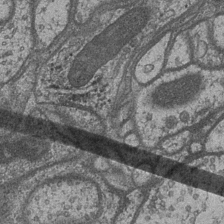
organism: Drosophila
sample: Optic medulla